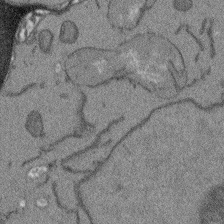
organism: Arabidopsis thaliana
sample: Root tip